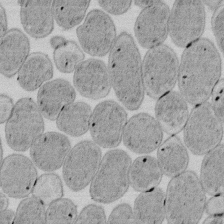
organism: E. coli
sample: Bacterial nucleoid